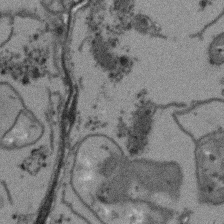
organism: Arabidopsis thaliana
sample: Root tip